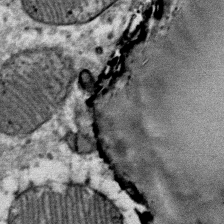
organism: Mouse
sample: Mouse Salivary gland